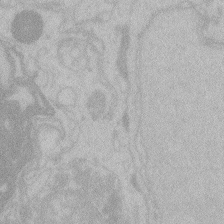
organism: Zebrafish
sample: Macrophage infected with Toxoplasma gondii